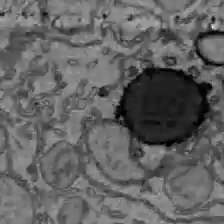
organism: C57BL Mouse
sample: Liver